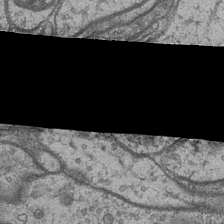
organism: Drosophila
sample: Optic medulla